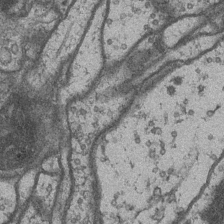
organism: Drosophila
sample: Optic medulla